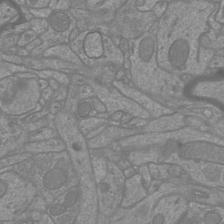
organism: Mouse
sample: Cortical neurons